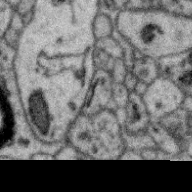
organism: Zebra finch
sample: Brain